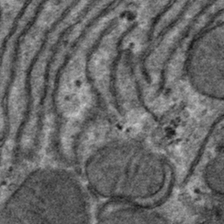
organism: Mouse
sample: Mouse hepatocytes